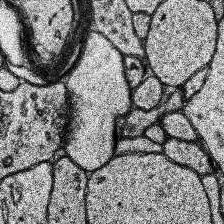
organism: Human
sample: Temporal Lobe